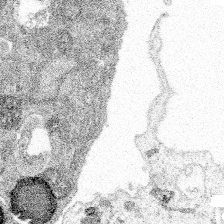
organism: Spongilla lacustris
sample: Multiple